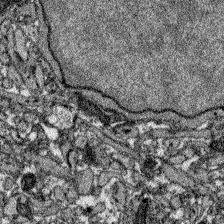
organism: Zebrafish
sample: Larval olfactory bulb